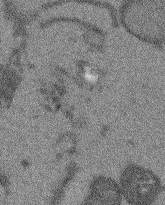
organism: Arabidopsis thaliana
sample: Root tip